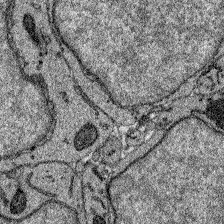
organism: Zebrafish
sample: Larval olfactory bulb